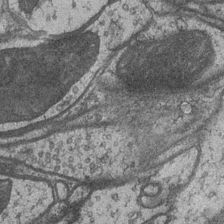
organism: Drosophila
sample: Optic medulla